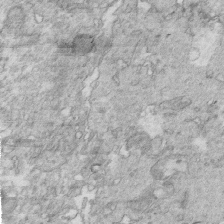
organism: Mouse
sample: Multiciliated cells